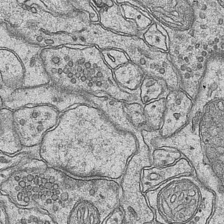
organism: Mouse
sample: CA1 Hippocampus